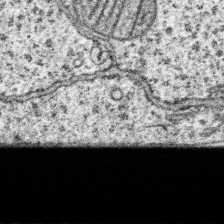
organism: Human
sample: HeLa cells